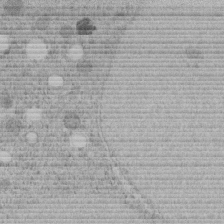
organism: C. elegans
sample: C. elegans embryo early stage